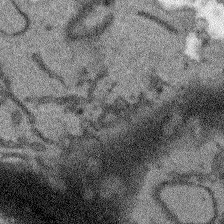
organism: Arabidopsis thaliana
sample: Root tip